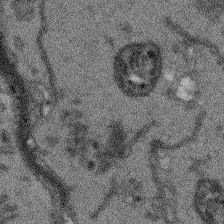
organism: Arabidopsis thaliana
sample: Root tip